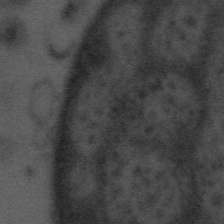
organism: Tuwongella immobilis